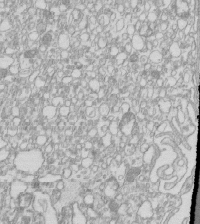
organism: Mouse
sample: Macrophages